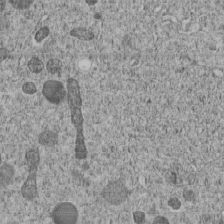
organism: C. elegans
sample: C. elegans embryo early stage